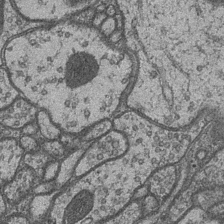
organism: Drosophila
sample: Optic medulla